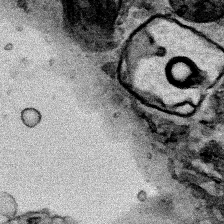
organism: Human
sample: Mitochondria in HCT116 cells